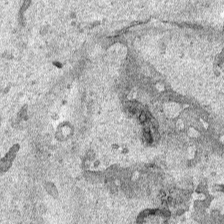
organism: Human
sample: Mitochondria in HCT116 cells